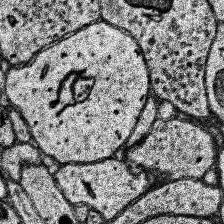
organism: Human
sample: Temporal Lobe